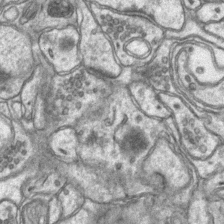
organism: Mouse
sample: CA1 Hippocampus